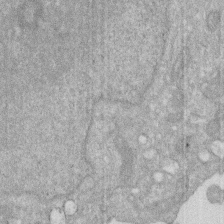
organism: Human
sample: HIV infected U937 cells